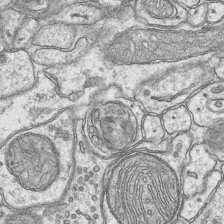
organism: Mouse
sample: CA1 Hippocampus